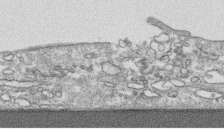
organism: Human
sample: CRL-1474